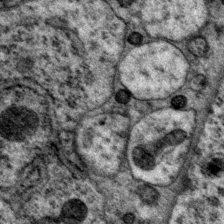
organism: P. pacificus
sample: Pharynx